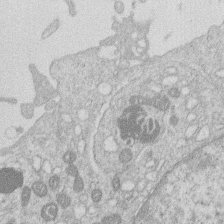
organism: Human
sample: Macrophage cells